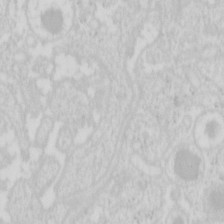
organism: Mouse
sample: Pancreas